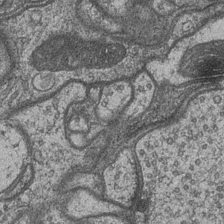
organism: Drosophila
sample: Optic medulla